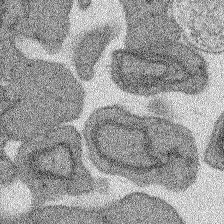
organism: Human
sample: HeLa cells